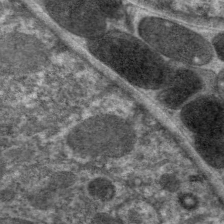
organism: C. elegans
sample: Pharynx